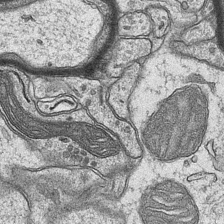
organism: Mouse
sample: CA1 Hippocampus